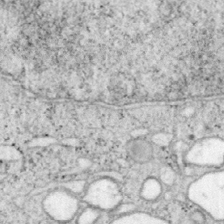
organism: Mouse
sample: OT-I killer T cells with ID8 ovarian cancer cells